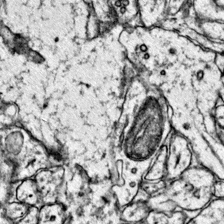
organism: Mouse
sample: Primary visual cortex